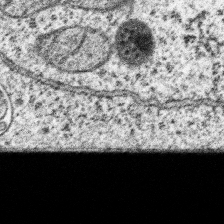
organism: Human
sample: HeLa cells